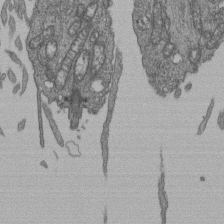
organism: Human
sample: Retinal organoid Rod and Cone cells